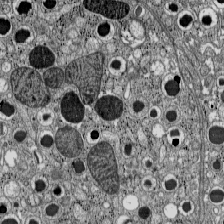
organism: C57BL Mouse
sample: Pancreatic islet